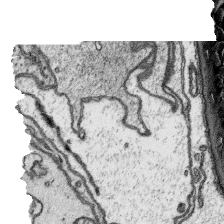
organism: Platynereis dumerilii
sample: Parapodia